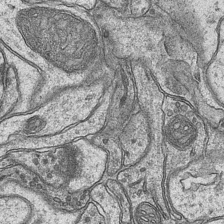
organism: Mouse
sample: CA1 Hippocampus